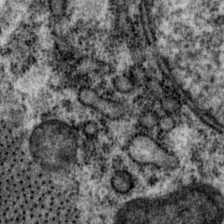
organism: P. pacificus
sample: Pharynx